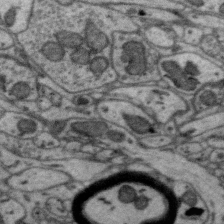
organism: Zebra finch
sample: Brain